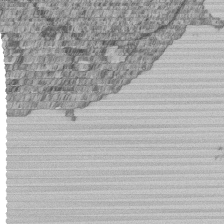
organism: Human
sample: MDA-MB-231 cells